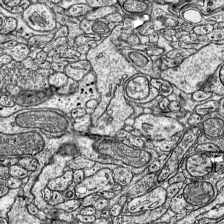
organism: Mouse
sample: Visual Cortex